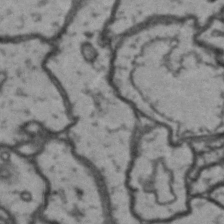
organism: Drosophila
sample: Brain